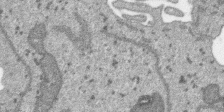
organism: Human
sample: Lung epithelial cells infected with SARS-CoV-2